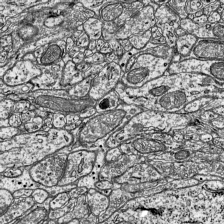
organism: Mouse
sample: Visual Cortex